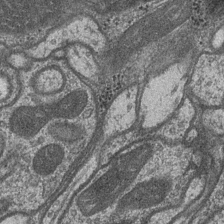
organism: Drosophila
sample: Optic medulla